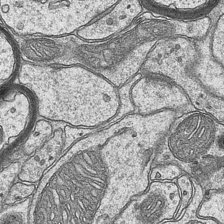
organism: Mouse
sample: CA1 Hippocampus